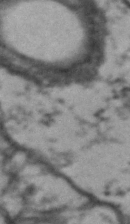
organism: Drosophila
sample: Brain